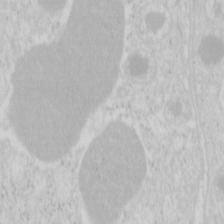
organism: Mouse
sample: Pancreas